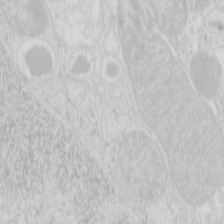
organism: Mouse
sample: Pancreas